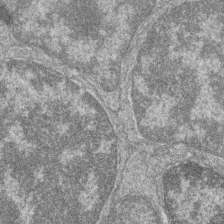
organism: Zebrafish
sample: Cilia; retinal pigment epithelium